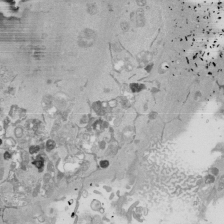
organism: Mouse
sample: ED-1 cell nuclei; centrioles